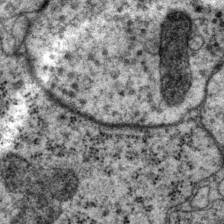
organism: P. pacificus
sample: Pharynx